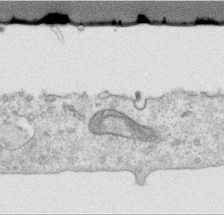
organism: Human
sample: Centriole in RPE cells